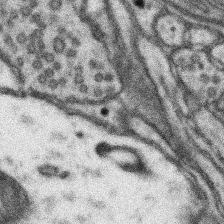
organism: Mouse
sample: Somatosensory cortex neuropil